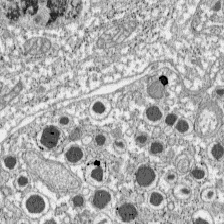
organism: C57BL Mouse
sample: Pancreatic islet